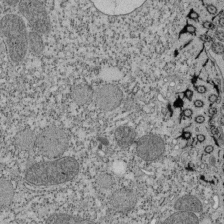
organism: Tetrahymena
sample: Cilia in tetrahymena